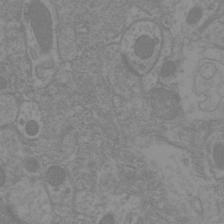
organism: Mouse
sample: Cortical neurons